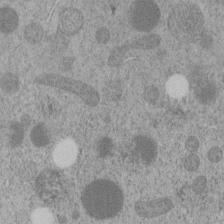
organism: C. elegans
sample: C. elegans embryo early stage